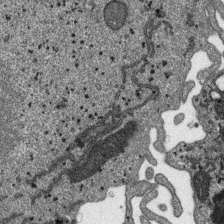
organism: Human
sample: Lung epithelial cells infected with SARS-CoV-2